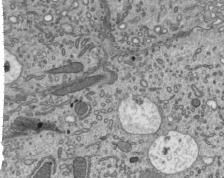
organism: Mouse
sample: Mouse epididymis efferent ductule cilia